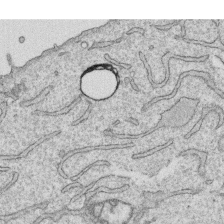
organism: Human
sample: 1205lu cells